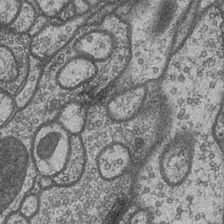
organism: Drosophila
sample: Optic medulla